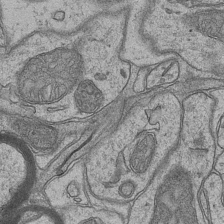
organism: Mouse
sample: CA1 Hippocampus